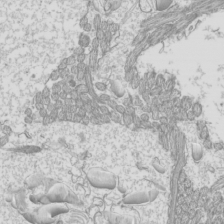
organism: Mouse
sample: Cilia; mouse epididymis